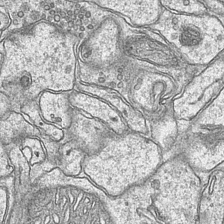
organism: Mouse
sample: CA1 Hippocampus